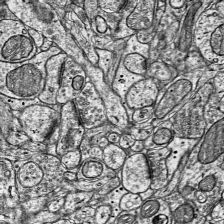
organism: Mouse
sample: Visual Cortex